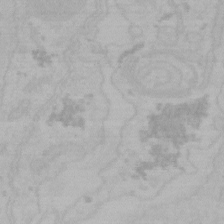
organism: Mouse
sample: Choroid plexus